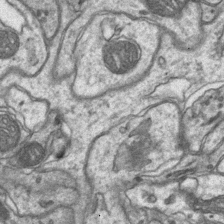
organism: Mouse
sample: CA1 Hippocampus